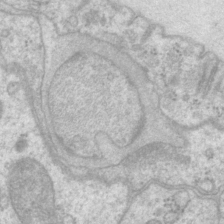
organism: P. pacificus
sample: Pharynx